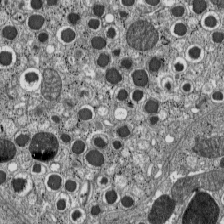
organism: C57BL Mouse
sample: Pancreatic islet